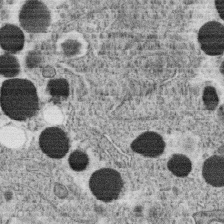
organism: C. elegans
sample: C. elegans oocyte; sperm cells